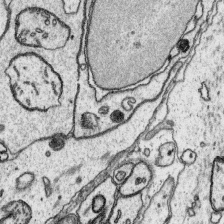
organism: Platynereis dumerilii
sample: Parapodia